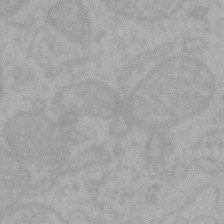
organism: Mouse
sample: Choroid plexus